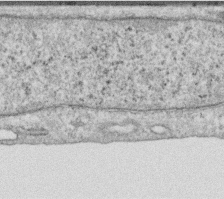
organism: Human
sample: Centriole in RPE cells